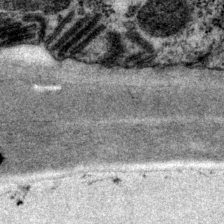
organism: P. pacificus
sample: Pharynx